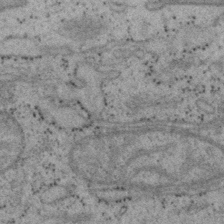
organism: Human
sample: HeLa cells